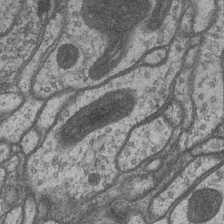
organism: Drosophila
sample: Optic medulla